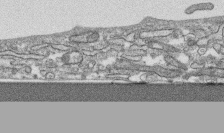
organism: Human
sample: CRL-1474